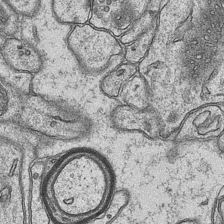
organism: Mouse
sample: CA1 Hippocampus